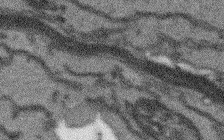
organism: Arabidopsis thaliana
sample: Root tip